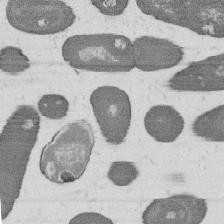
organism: B. subtilis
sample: Bacterial spore